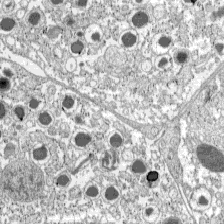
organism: C57BL Mouse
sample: Pancreatic islet